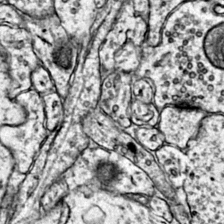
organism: Mouse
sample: Primary visual cortex